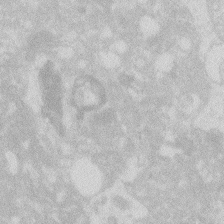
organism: Zebrafish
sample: Macrophage